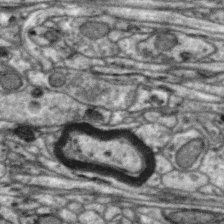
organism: Zebra finch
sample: Brain